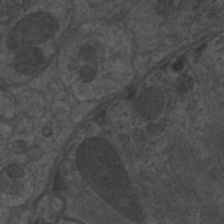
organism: C. elegans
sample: Pharynx